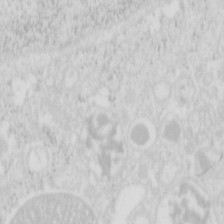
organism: Mouse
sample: Pancreas